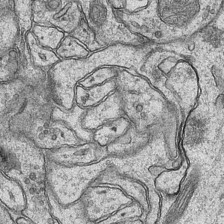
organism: Mouse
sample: CA1 Hippocampus